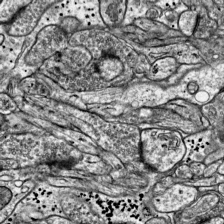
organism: Mouse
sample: Visual Cortex